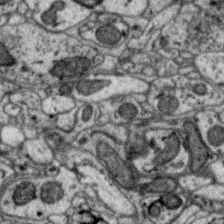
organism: Zebra finch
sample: Brain